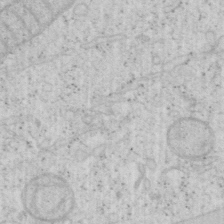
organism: Human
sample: HeLa cells